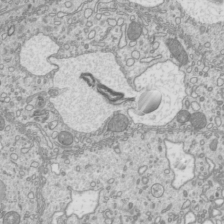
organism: Mouse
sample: Cilia; mouse epididymis